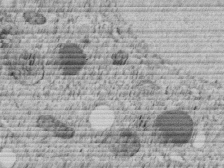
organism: C. elegans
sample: C. elegans embryo early stage